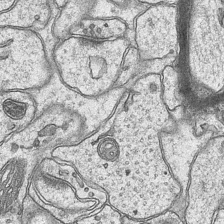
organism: Mouse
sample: CA1 Hippocampus